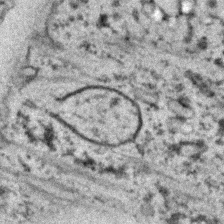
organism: C. elegans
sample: C. elegans embryo